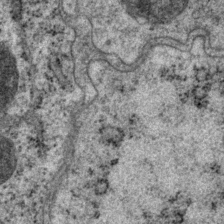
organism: P. pacificus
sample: Pharynx